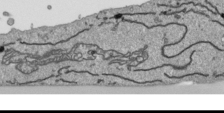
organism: Human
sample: Mitochondria in HCT116 cells